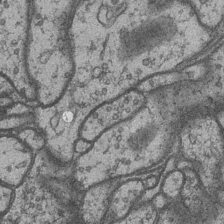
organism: Drosophila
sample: Optic medulla